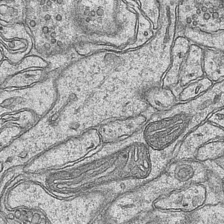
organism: Mouse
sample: CA1 Hippocampus